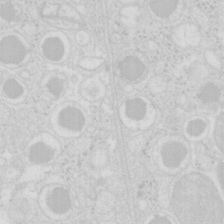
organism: Mouse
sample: Pancreas